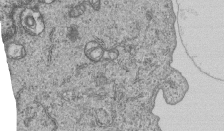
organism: Human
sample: MDA-MB-231 cells